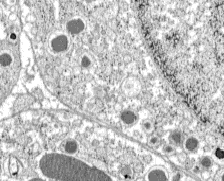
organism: C57BL Mouse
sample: Pancreatic islet